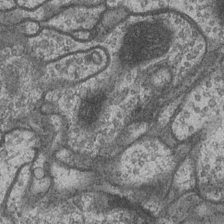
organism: Drosophila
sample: Optic medulla